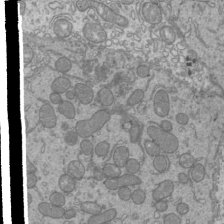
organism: Mouse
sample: Cilia; mouse epididymis